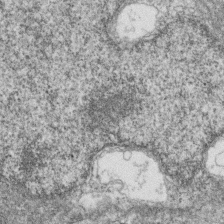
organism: Zebrafish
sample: Cilia; retinal pigment epithelium